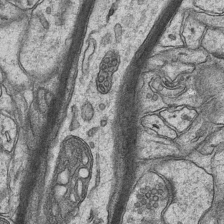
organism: Mouse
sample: CA1 Hippocampus